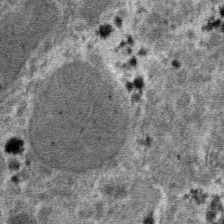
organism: Mouse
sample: Mouse hepatocytes